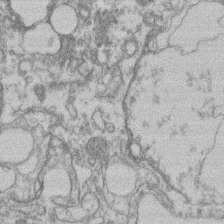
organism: Mouse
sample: T cell stromal cell synapse